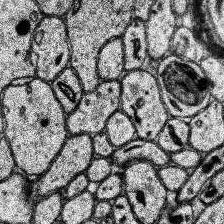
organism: Human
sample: Temporal Lobe